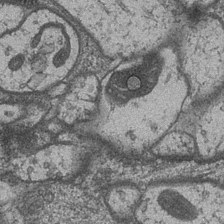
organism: Drosophila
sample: Optic medulla